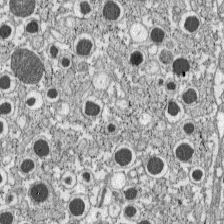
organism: C57BL Mouse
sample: Pancreatic islet